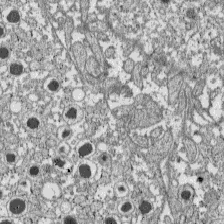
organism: C57BL Mouse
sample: Pancreatic islet